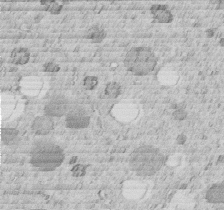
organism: C. elegans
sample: C. elegans embryo early stage